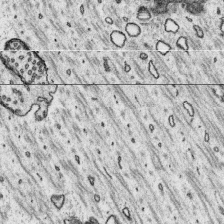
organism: Platynereis dumerilii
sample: Parapodia